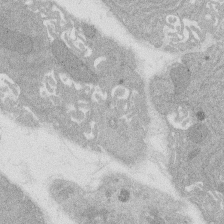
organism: Rat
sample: Salivary granule